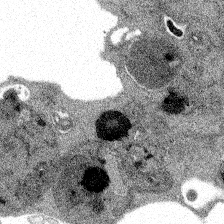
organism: Spongilla lacustris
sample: Multiple